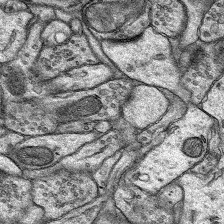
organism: Rat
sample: Hippocampus